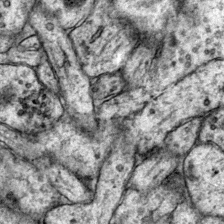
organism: Mouse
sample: Primary visual cortex